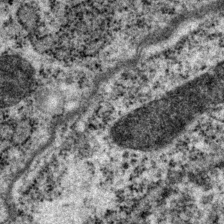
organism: P. pacificus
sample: Pharynx